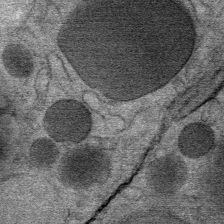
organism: Mouse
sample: Mouse Salivary gland